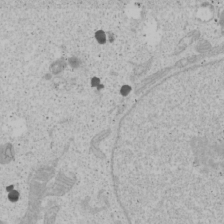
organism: Human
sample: Mitochondria in U2OS cells